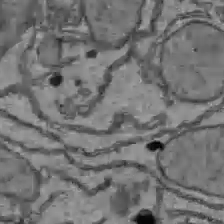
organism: C57BL Mouse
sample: Liver